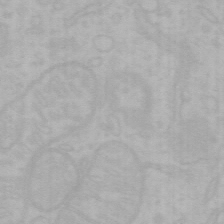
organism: Mouse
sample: Choroid plexus